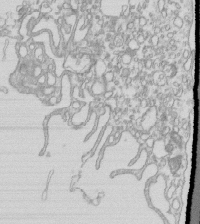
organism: Mouse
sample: Macrophages